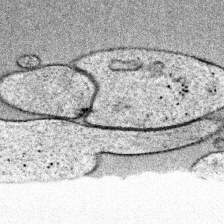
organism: Human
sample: HeLa cells